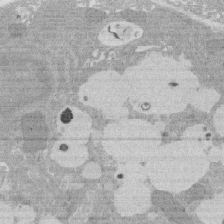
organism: Rat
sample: Salivary granule